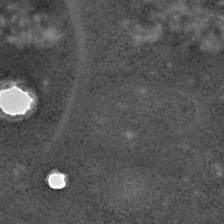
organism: C. elegans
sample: C. elegans embryo